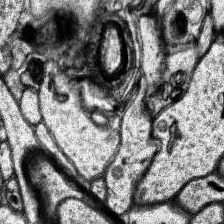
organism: Human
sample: Temporal Lobe